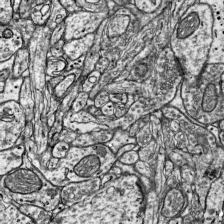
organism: Mouse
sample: Visual Cortex